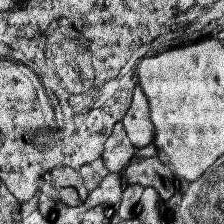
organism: Human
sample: Temporal Lobe